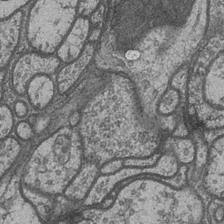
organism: Drosophila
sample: Optic medulla